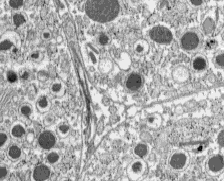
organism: C57BL Mouse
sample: Pancreatic islet